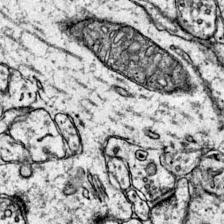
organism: Mouse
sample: Primary visual cortex